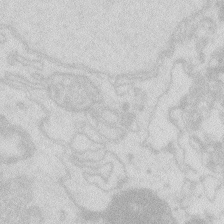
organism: Zebrafish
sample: Macrophage